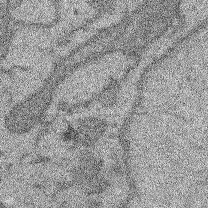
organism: Human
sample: HeLa cells